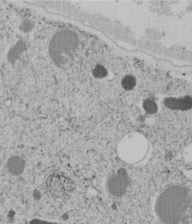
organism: C. elegans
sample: C. elegans embryo early stage